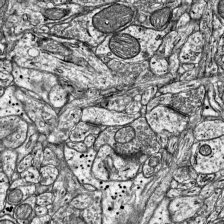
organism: Mouse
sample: Visual Cortex